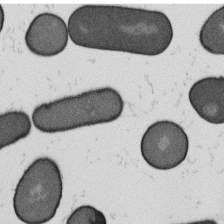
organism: B. subtilis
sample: Bacterial spore